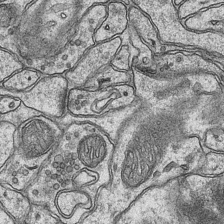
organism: Mouse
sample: CA1 Hippocampus